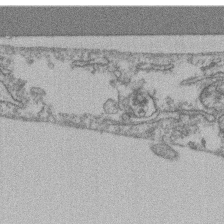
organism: Mouse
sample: T cell stromal cell synapse